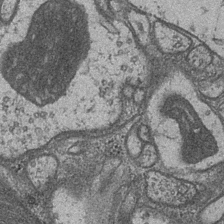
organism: Drosophila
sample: Optic medulla